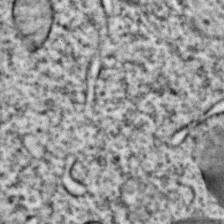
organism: C. elegans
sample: C. elegans embryo